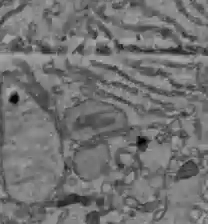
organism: C57BL Mouse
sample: Liver